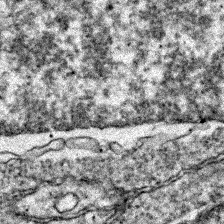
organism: Zebrafish